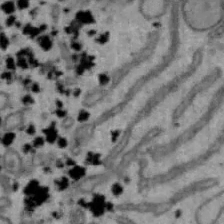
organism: Mouse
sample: Liver